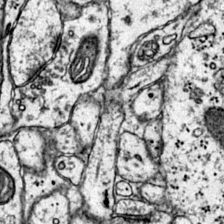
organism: Mouse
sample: Primary visual cortex